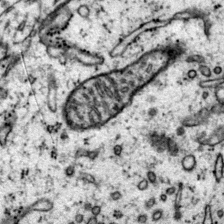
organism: Mouse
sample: Primary visual cortex